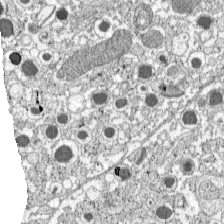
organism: C57BL Mouse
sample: Pancreatic islet